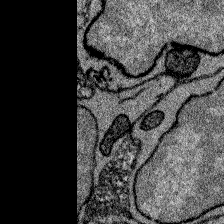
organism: Zebrafish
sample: Larval olfactory bulb